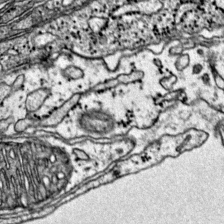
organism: Mouse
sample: Primary visual cortex